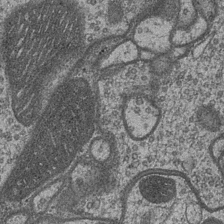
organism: Drosophila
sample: Optic medulla